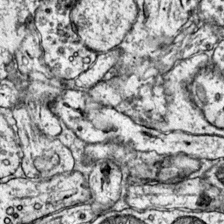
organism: Mouse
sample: Primary visual cortex